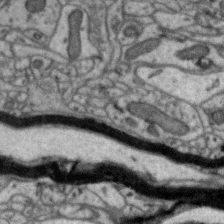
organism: Zebra finch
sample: Brain